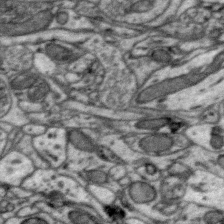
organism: Zebra finch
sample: Brain